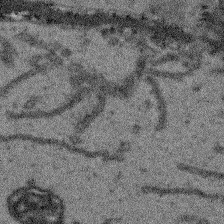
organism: Arabidopsis thaliana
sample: Root tip